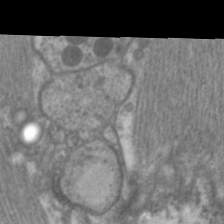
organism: C. elegans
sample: Pharynx